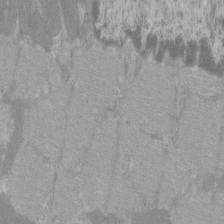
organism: C57BL Mouse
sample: Tibialis anterior muscle cell